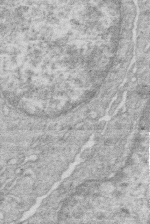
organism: Human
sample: Macrophage cells